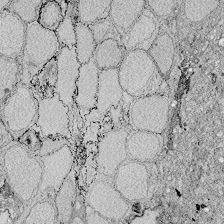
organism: Zebrafish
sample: Whole-Brain